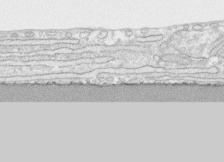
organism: Human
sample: CRL-1474